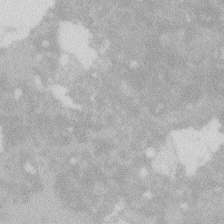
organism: Zebrafish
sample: Macrophage